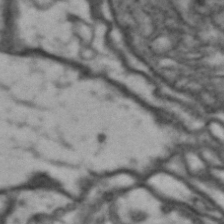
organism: Drosophila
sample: Brain